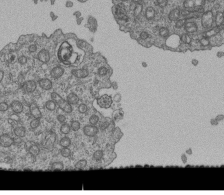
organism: Human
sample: Retinal organoid Rod and Cone cells